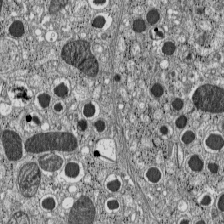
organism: C57BL Mouse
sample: Pancreatic islet